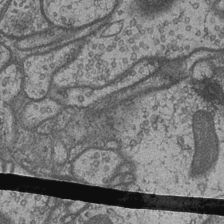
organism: Drosophila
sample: Optic medulla